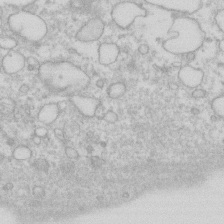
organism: Human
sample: Fibroblast cells